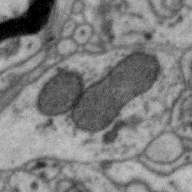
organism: Zebra finch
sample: Brain